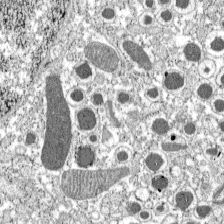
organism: C57BL Mouse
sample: Pancreatic islet